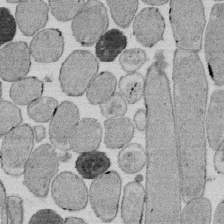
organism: E. coli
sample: Bacterial nucleoid